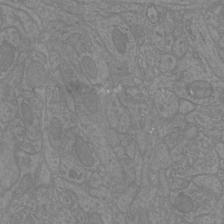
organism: Mouse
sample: Cortical neurons